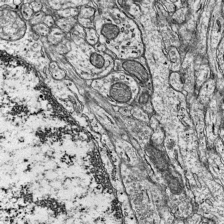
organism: Mouse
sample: Visual Cortex